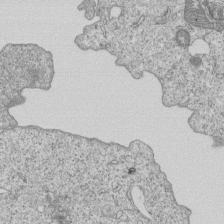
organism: Human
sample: MDA-MB-231 cells